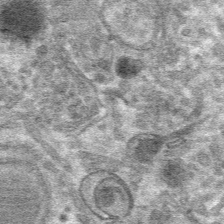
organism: Mouse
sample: Mouse hepatocytes